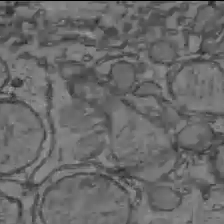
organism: C57BL Mouse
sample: Liver